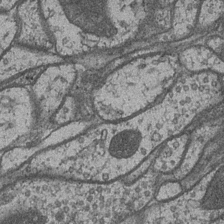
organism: Drosophila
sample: Optic medulla